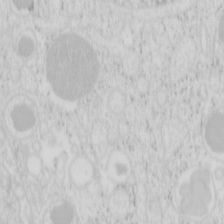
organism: Mouse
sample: Pancreas